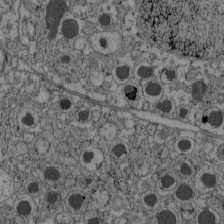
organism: C57BL Mouse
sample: Pancreatic islet